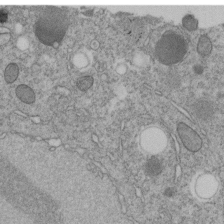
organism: C. elegans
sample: C. elegans embryo early stage